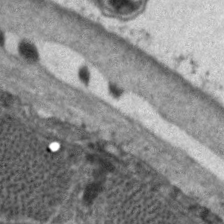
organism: C. elegans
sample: Pharynx